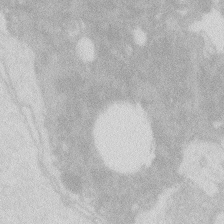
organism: Zebrafish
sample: Macrophage